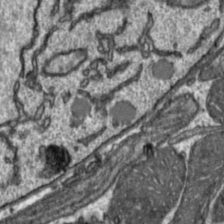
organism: Toxoplasma gondii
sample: Parasites in a vacuole inside a host cell